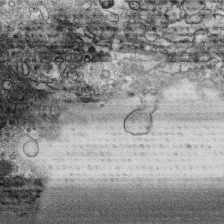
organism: Human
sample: CRL-1474